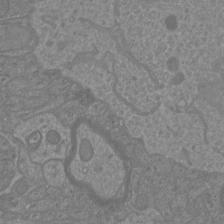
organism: Mouse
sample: Cortical neurons